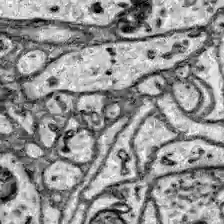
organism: Zebrafish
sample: Brain